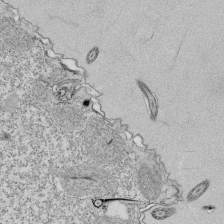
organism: Tetrahymena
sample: Cilia in tetrahymena